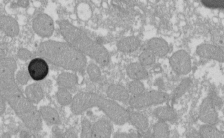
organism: Xenopus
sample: Cilia; centrioles in frog embryo cells